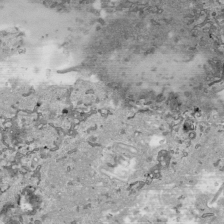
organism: Human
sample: Mitochondria in HCT116 cells